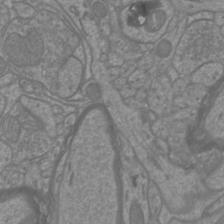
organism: Mouse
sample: Cortical neurons